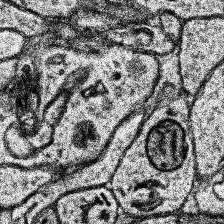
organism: Human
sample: Temporal Lobe